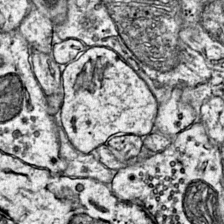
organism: Mouse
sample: Primary visual cortex